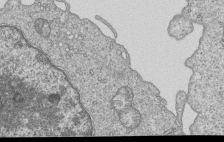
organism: Human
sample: MDA-MB-231 cells